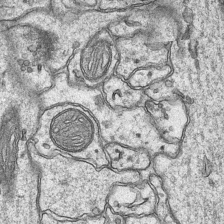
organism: Mouse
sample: CA1 Hippocampus